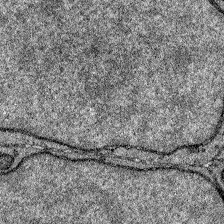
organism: Zebrafish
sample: Larval olfactory bulb